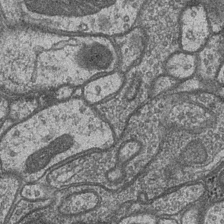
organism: Drosophila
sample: Optic medulla